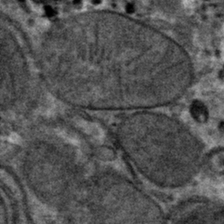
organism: Mouse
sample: Mouse hepatocytes